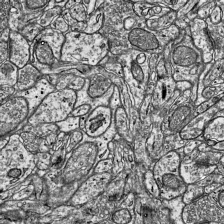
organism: Mouse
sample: Visual Cortex